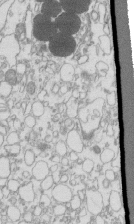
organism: Mouse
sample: Macrophages